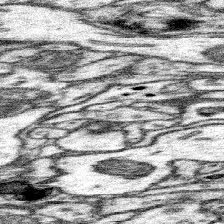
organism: Mouse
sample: Somatosensory cortex neuropil